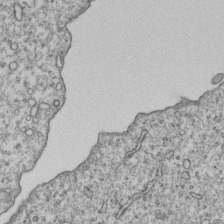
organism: Human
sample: MDA-MB-231 cells